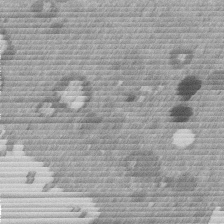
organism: Mouse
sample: Dividing mouse embryo 1 cell stage